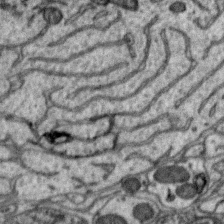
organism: Zebra finch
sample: Brain